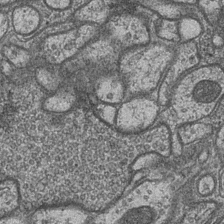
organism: Drosophila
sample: Optic medulla